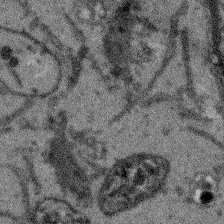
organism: Arabidopsis thaliana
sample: Root tip